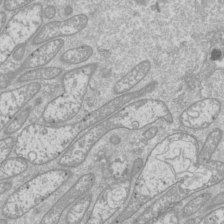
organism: Drosophila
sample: Cell division; meiosis; drosophila spermatocytes